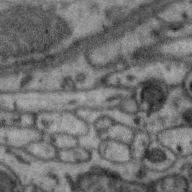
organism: Zebra finch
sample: Brain